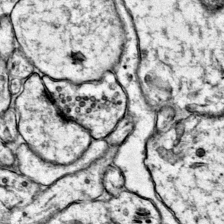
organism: Mouse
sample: Primary visual cortex